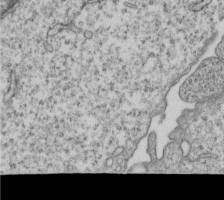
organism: Human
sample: MDA-MB-231 cells